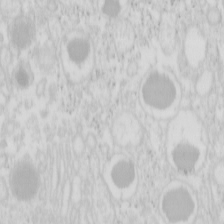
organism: Mouse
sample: Pancreas